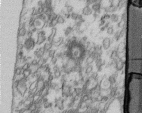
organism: Human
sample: Centriole in fibroblast cells